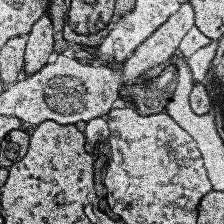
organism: Human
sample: Temporal Lobe